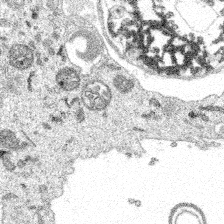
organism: Spongilla lacustris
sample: Multiple